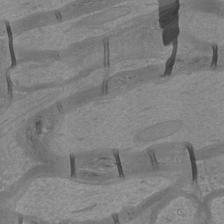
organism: Mouse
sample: Cortical neurons